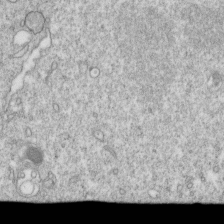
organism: Mouse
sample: Activated OT-1 CD8+ T cells